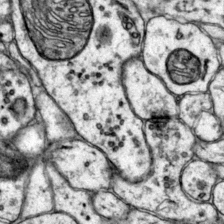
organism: Mouse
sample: Primary visual cortex